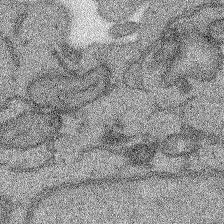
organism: Human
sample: HeLa cells